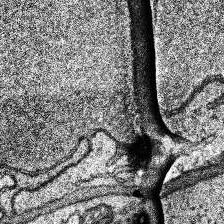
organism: Human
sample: Temporal Lobe